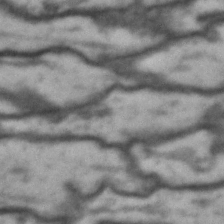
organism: Drosophila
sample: Brain